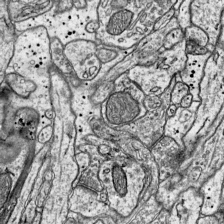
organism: Mouse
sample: Visual Cortex